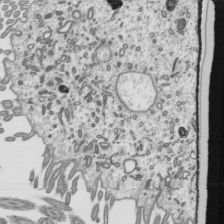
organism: Mouse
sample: Mouse epididymis efferent ductule cilia